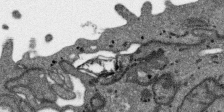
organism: Human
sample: Lung epithelial cells, uninfected (mock) control